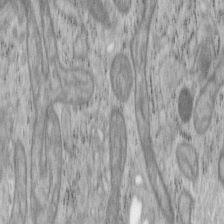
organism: Human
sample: HeLa cells